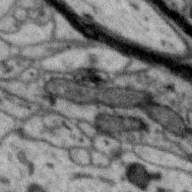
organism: Zebra finch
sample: Brain